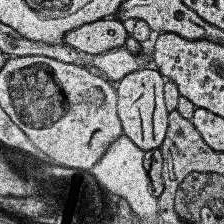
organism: Human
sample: Temporal Lobe